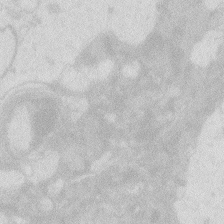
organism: Zebrafish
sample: Macrophage